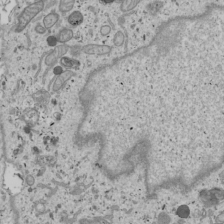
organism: Human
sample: Mitochondria in U2OS cells